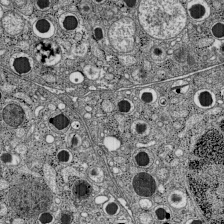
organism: C57BL Mouse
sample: Pancreatic islet